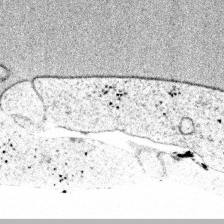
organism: Human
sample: HeLa cells